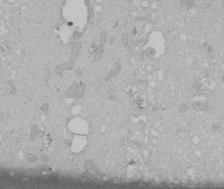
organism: Human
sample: Melanocyte Keratinocyte synapse skin construct